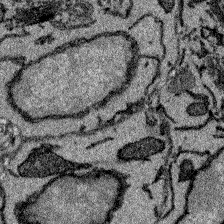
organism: Zebrafish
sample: Larval olfactory bulb